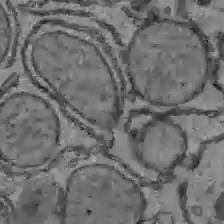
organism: C57BL Mouse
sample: Liver